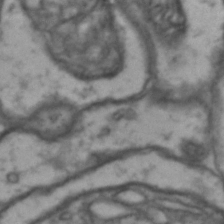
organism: Drosophila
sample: Brain